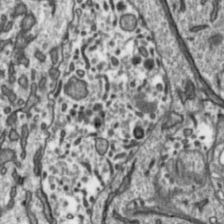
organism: Toxoplasma gondii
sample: Parasites in a vacuole inside a host cell